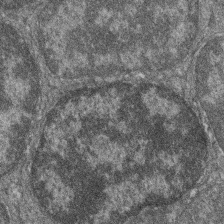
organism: Zebrafish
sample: Cilia; retinal pigment epithelium